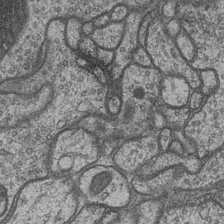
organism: Drosophila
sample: Optic medulla